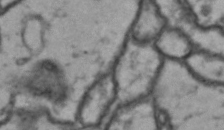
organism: Drosophila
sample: Brain